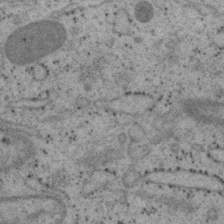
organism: Human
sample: HeLa cells